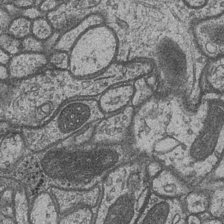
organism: Drosophila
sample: Optic medulla